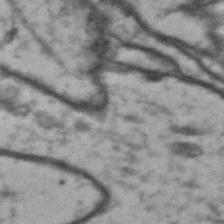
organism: Drosophila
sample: Brain